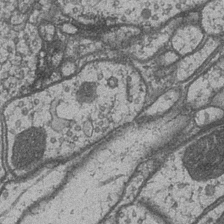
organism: Drosophila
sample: Optic medulla